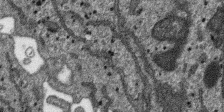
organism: Human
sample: Lung epithelial cells infected with SARS-CoV-2